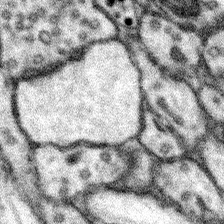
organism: Mouse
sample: Somatosensory cortex neuropil